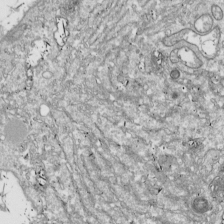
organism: Drosophila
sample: Cell division; meiosis; drosophila spermatocytes